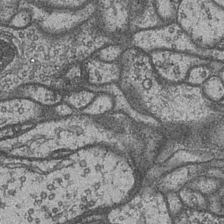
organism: Drosophila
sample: Optic medulla